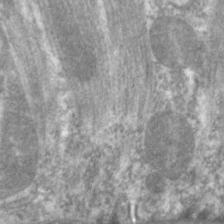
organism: C. elegans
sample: Pharynx